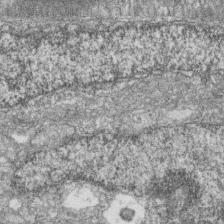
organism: Zebrafish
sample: Cilia; retinal pigment epithelium